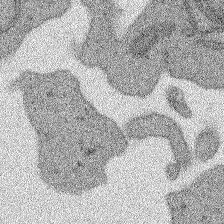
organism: Human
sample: HeLa cells